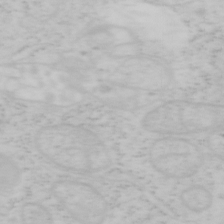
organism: Mouse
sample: OT-I killer T cells with ID8 ovarian cancer cells